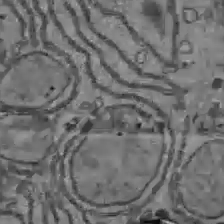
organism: C57BL Mouse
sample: Liver